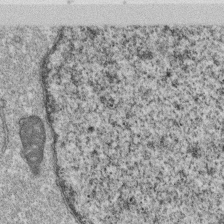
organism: African green monkey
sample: Vero E6 cells infected with SARS-CoV-2